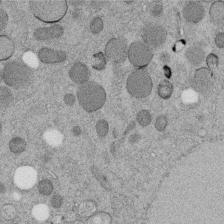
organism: C. elegans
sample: C. elegans embryo early stage